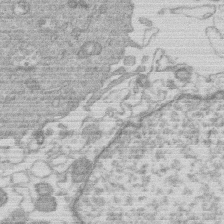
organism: Human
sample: Macrophage cells